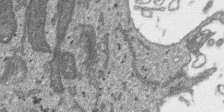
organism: Human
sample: Lung epithelial cells infected with SARS-CoV-2